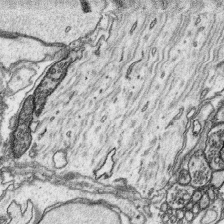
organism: Platynereis dumerilii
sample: Parapodia